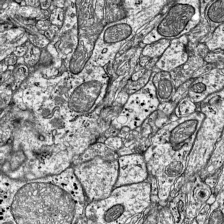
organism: Mouse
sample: Visual Cortex